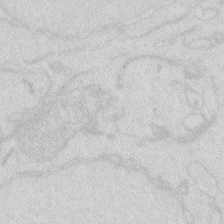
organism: Zebrafish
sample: Macrophage